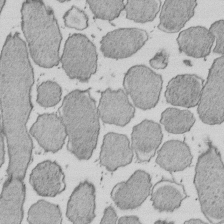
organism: E. coli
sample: Bacterial nucleoid